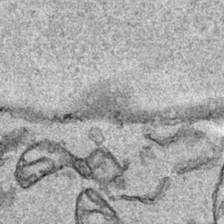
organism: Human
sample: Mitochondria in HCT116 cells